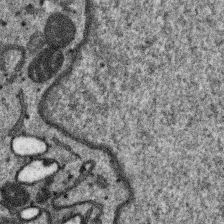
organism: Human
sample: Lung epithelial cells infected with SARS-CoV-2